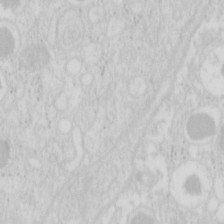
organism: Mouse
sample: Pancreas